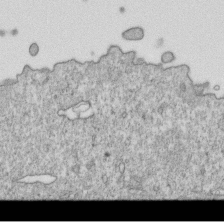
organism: Mouse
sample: Activated OT-1 CD8+ T cells